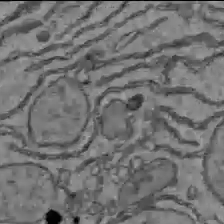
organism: C57BL Mouse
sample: Liver